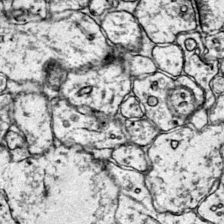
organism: Mouse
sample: Primary visual cortex